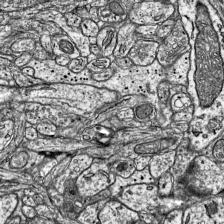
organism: Mouse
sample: Visual Cortex